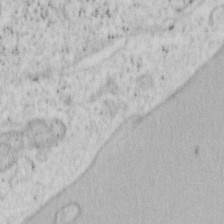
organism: Human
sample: HeLa cells